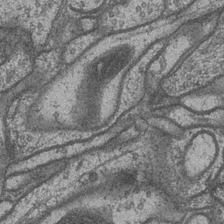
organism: Drosophila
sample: Optic medulla